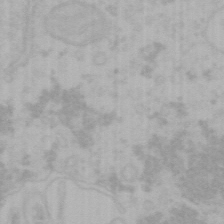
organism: Mouse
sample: Choroid plexus